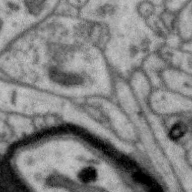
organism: Zebra finch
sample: Brain